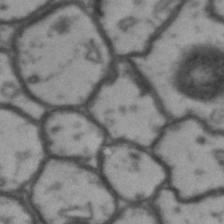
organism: Drosophila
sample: Brain